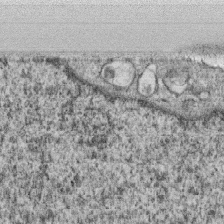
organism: African green monkey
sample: Vero E6 cells infected with SARS-CoV-2